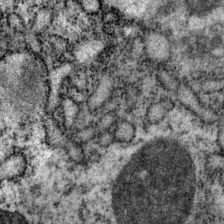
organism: P. pacificus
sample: Pharynx